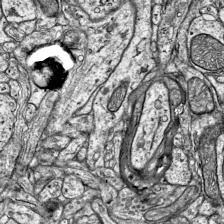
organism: Mouse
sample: Visual Cortex